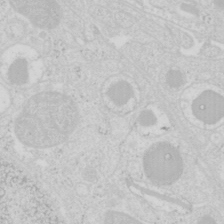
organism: Mouse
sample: Pancreas